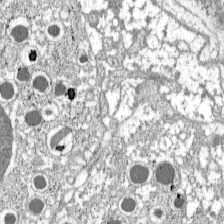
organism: C57BL Mouse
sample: Pancreatic islet